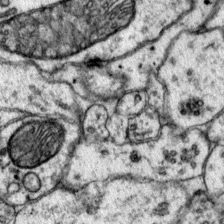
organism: Mouse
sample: Primary visual cortex